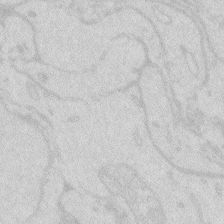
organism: Zebrafish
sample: Macrophage